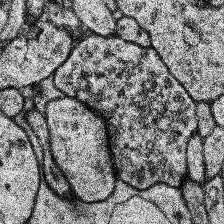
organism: Human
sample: Temporal Lobe